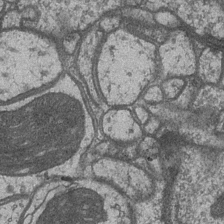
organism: Drosophila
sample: Optic medulla